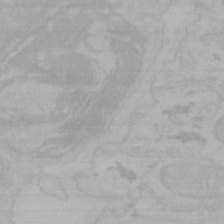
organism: Mouse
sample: Choroid plexus